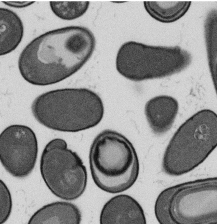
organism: B. subtilis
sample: Bacterial spore